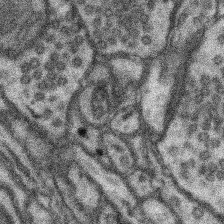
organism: Mouse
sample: Somatosensory cortex neuropil